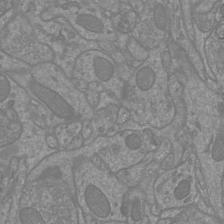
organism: Mouse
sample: Cortical neurons